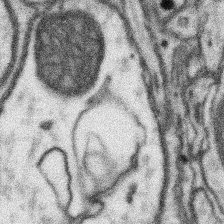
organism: Mouse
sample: Somatosensory cortex neuropil